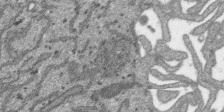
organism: Human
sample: Lung epithelial cells infected with SARS-CoV-2